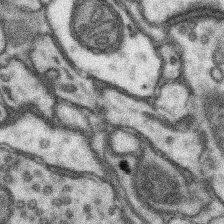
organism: Mouse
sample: Somatosensory cortex neuropil